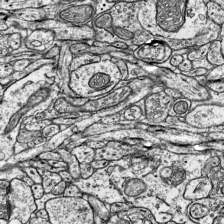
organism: Mouse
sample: Visual Cortex